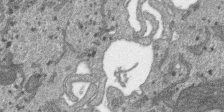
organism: Human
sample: Lung epithelial cells infected with SARS-CoV-2